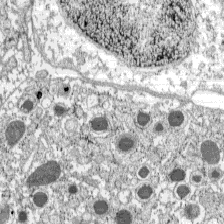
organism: C57BL Mouse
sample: Pancreatic islet